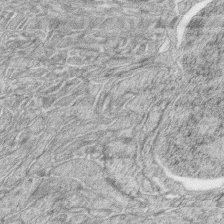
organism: Zebrafish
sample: synaptic ribbons in rod cells and cone cells